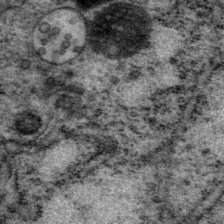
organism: P. pacificus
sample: Pharynx